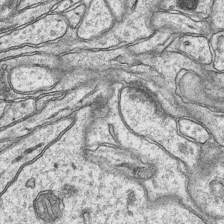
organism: Mouse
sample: CA1 Hippocampus